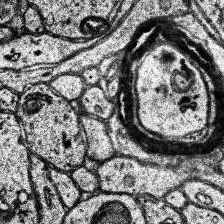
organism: Human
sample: Temporal Lobe